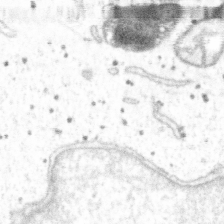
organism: Human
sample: HeLa cells